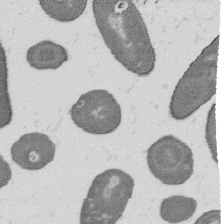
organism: B. subtilis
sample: Bacterial spore